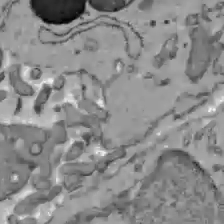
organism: C57BL Mouse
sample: Liver